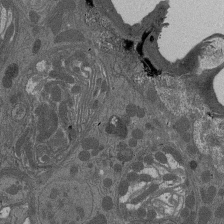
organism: Drosophila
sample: Antenna